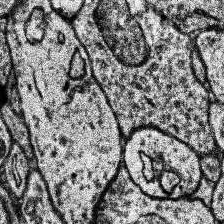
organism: Human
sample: Temporal Lobe